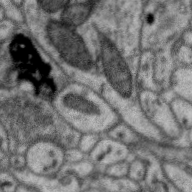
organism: Zebra finch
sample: Brain